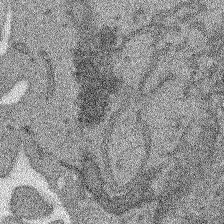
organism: Human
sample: HeLa cells